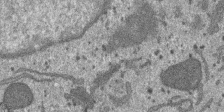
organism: Human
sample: Lung epithelial cells infected with SARS-CoV-2